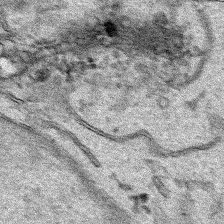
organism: Human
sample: Mitochondria in HCT116 cells